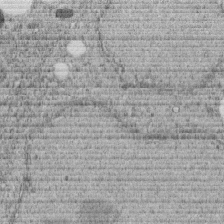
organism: C. elegans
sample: C. elegans embryo early stage